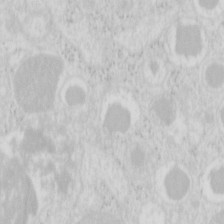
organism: Mouse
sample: Pancreas